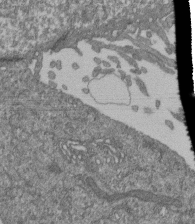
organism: Human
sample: Retinal organoid Rod and Cone cells